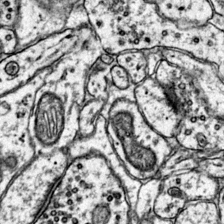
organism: Mouse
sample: Primary visual cortex